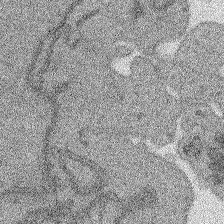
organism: Human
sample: HeLa cells